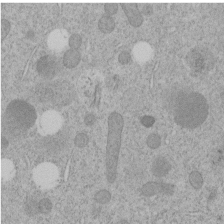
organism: C. elegans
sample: C. elegans embryo early stage